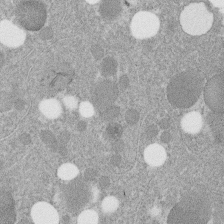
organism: C. elegans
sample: C. elegans embryo early stage